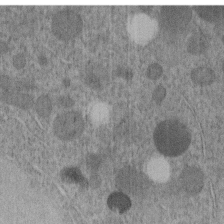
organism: C. elegans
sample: C. elegans embryo early stage